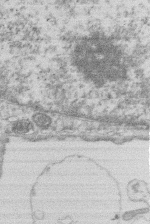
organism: Human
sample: Macrophage cells